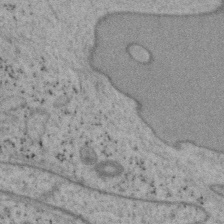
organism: Human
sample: HeLa cells